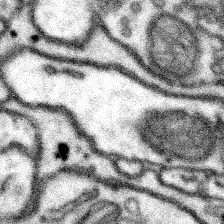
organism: Mouse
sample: Somatosensory cortex neuropil